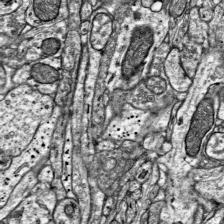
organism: Mouse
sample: Visual Cortex